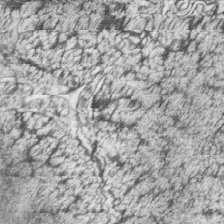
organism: Zebrafish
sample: synaptic ribbons in rod cells and cone cells